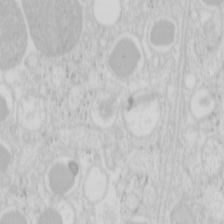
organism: Mouse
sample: Pancreas